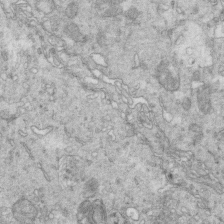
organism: Mouse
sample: Multiciliated cells